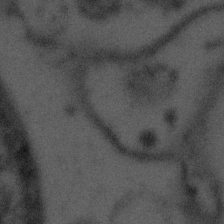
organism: Tuwongella immobilis